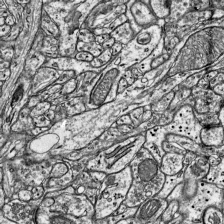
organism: Mouse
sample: Visual Cortex